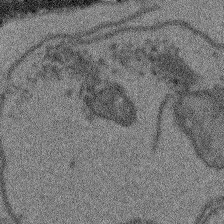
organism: Arabidopsis thaliana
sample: Root tip